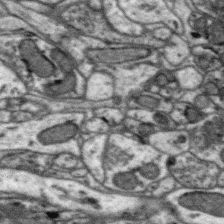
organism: Zebra finch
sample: Brain